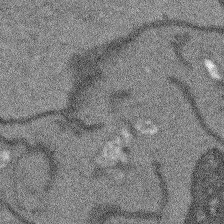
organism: Arabidopsis thaliana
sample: Root tip